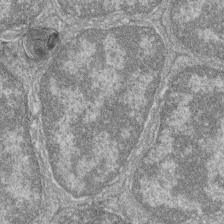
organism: Zebrafish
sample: Cilia; retinal pigment epithelium